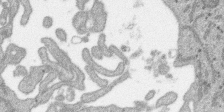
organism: Human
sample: Lung epithelial cells infected with SARS-CoV-2